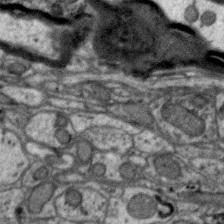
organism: Zebra finch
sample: Brain